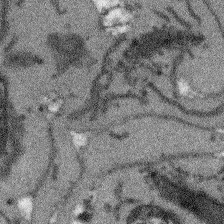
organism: Arabidopsis thaliana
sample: Root tip